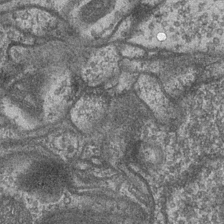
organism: Drosophila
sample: Optic medulla